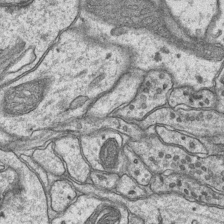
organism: Mouse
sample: CA1 Hippocampus